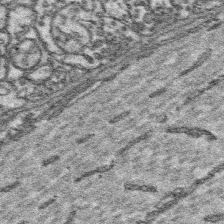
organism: Platynereis dumerilii